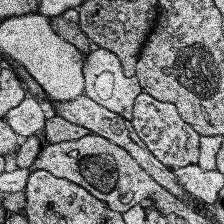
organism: Human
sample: Temporal Lobe